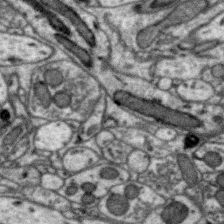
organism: Zebra finch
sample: Brain